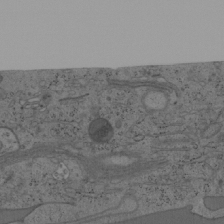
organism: Human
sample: HeLa cells